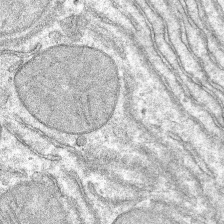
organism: Mouse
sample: Mouse hepatocytes